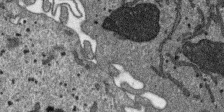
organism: Human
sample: Lung epithelial cells infected with SARS-CoV-2